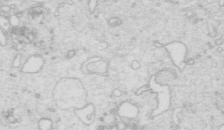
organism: Mouse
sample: Multiciliated cells